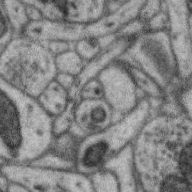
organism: Zebra finch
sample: Brain